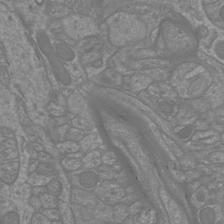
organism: Mouse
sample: Cortical neurons